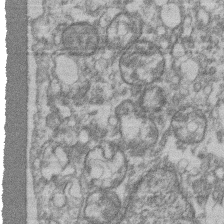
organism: Mouse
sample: T cell stromal cell synapse